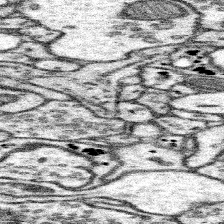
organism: Mouse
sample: Somatosensory cortex neuropil